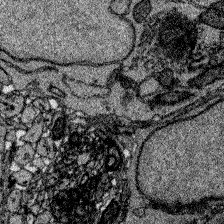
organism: Zebrafish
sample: Larval olfactory bulb